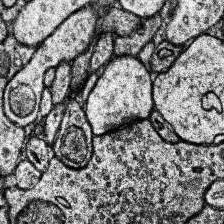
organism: Human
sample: Temporal Lobe